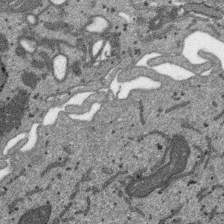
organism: Human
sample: Lung epithelial cells infected with SARS-CoV-2